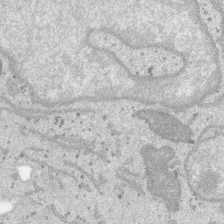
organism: Human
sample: Lung epithelial cells infected with SARS-CoV-2